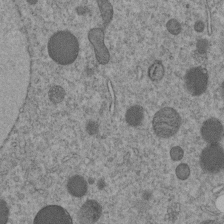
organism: C. elegans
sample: C. elegans embryo early stage